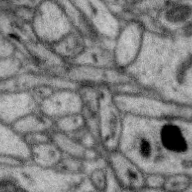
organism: Zebra finch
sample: Brain